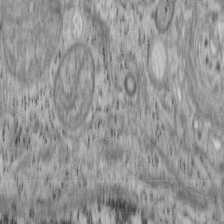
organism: Human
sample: HeLa cells